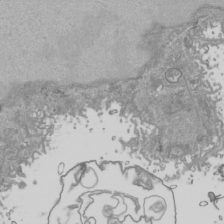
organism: Human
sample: Mitochondria in HCT116 cells